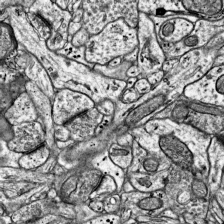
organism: Mouse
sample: Visual Cortex